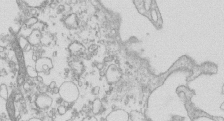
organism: Mouse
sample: Macrophages